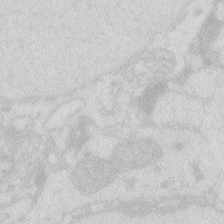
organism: Zebrafish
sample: Macrophage